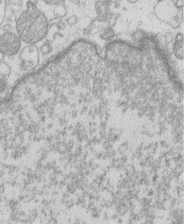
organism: Human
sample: Macrophage cells